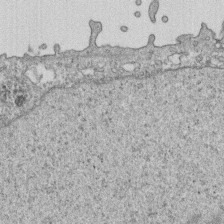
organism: Human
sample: HeLa cell HIV synapse